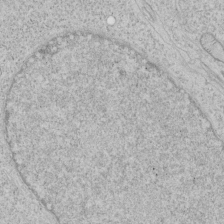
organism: Human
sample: Mitochondria in HCT116 cells